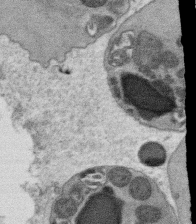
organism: C. elegans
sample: C. elegans oocyte; sperm cells